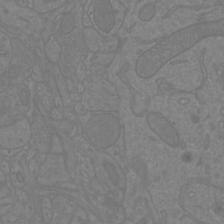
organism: Mouse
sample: Cortical neurons